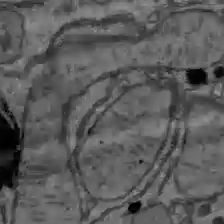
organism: C57BL Mouse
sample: Liver